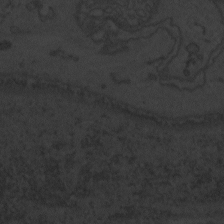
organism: Zebrafish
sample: Macrophage infected with Toxoplasma gondii